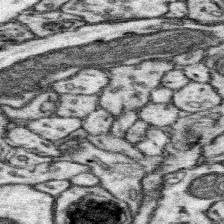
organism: Mouse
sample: Somatosensory cortex neuropil